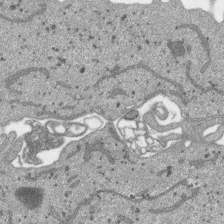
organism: Human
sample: Lung epithelial cells infected with SARS-CoV-2